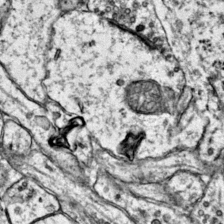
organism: Mouse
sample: Primary visual cortex